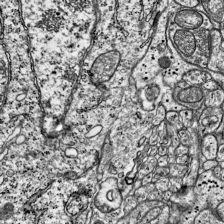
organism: Mouse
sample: Visual Cortex